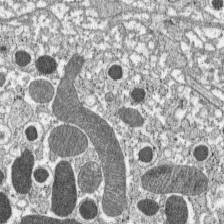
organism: C57BL Mouse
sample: Pancreatic islet